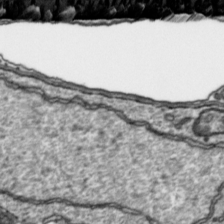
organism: Toxoplasma gondii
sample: Parasites in a vacuole inside a host cell